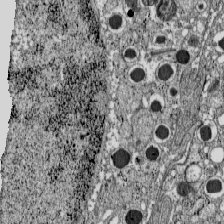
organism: C57BL Mouse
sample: Pancreatic islet